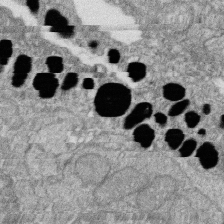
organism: Zebrafish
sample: Cilia; retinal pigment epithelium